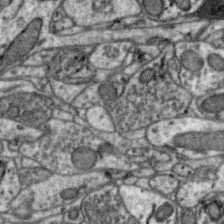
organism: Zebra finch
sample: Brain